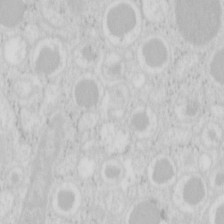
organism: Mouse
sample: Pancreas